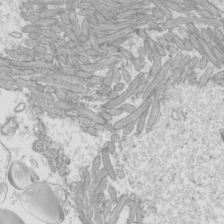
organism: Mouse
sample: Cilia; mouse epididymis